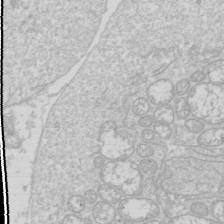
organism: Drosophila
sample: Cell division; meiosis; drosophila spermatocytes